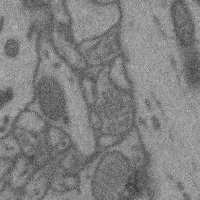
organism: Mouse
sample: Cerebral cortex